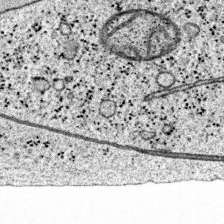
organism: Human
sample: HeLa cells